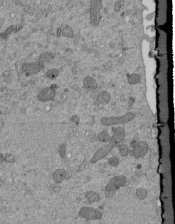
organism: Mouse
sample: ED-1 cell nuclei; centrioles